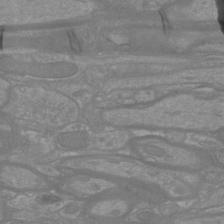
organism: Mouse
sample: Cortical neurons